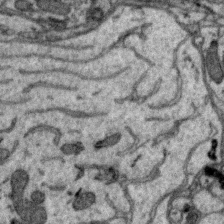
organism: Zebra finch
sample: Brain